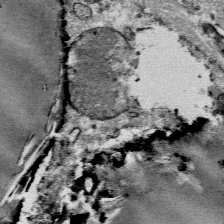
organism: Mouse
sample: Mouse Salivary gland